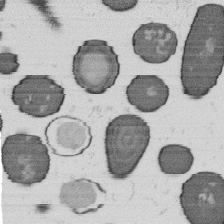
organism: B. subtilis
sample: Bacterial spore